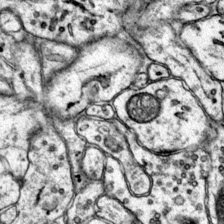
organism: Mouse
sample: Primary visual cortex